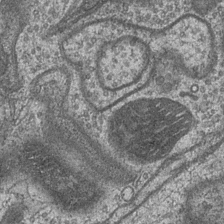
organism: Drosophila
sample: Optic medulla